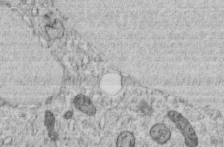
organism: C. elegans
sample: C. elegans embryo early stage